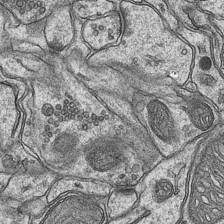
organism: Mouse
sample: CA1 Hippocampus